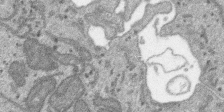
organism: Human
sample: Lung epithelial cells infected with SARS-CoV-2